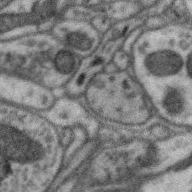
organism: Zebra finch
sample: Brain